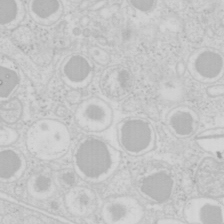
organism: Mouse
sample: Pancreas